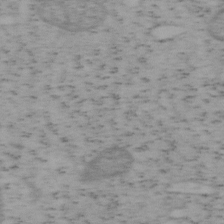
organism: Mouse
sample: OT-I killer T cells with ID8 ovarian cancer cells